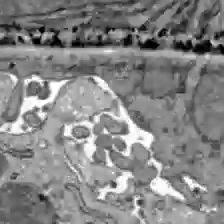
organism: C57BL Mouse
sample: Liver